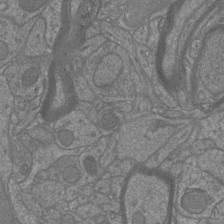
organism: Mouse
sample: Cortical neurons